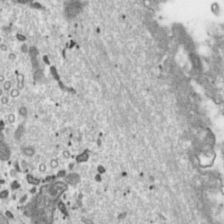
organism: Toxoplasma gondii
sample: Parasites in a vacuole inside a host cell